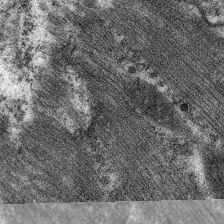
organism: C. elegans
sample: Pharynx